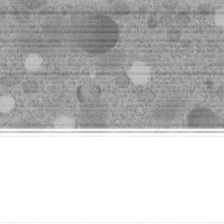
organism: C. elegans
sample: C. elegans embryo early stage